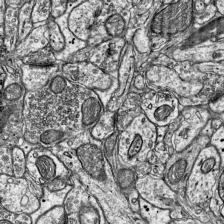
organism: Mouse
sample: Visual Cortex